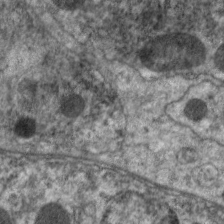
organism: C. elegans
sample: Pharynx